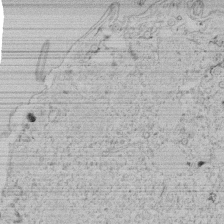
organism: Tetrahymena